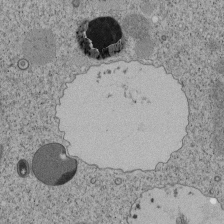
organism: Tetrahymena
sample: Cilia in tetrahymena